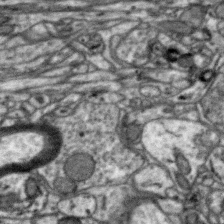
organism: Zebra finch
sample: Brain